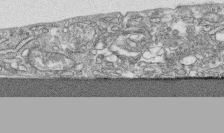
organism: Human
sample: CRL-1474